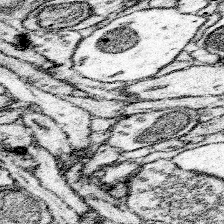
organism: Mouse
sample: Somatosensory cortex neuropil